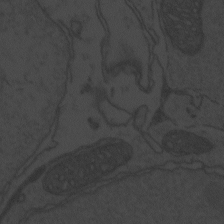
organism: Zebrafish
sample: Macrophage infected with Toxoplasma gondii